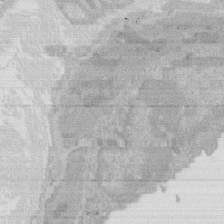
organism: Rat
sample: Salivary granule